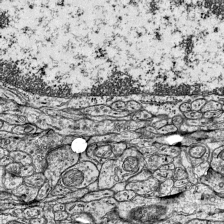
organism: Mouse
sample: Visual Cortex